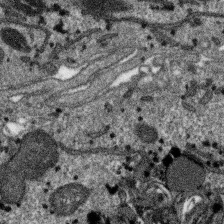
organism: Human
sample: Lung epithelial cells infected with SARS-CoV-2